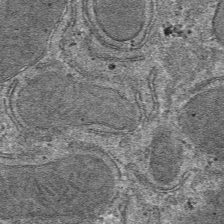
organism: Mouse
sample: Mouse hepatocytes